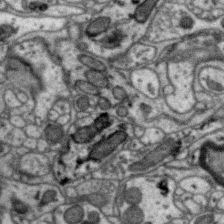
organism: Zebra finch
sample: Brain